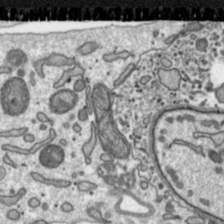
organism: Toxoplasma gondii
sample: Parasites in a vacuole inside a host cell